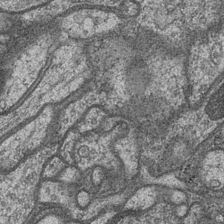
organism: Drosophila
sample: Optic medulla